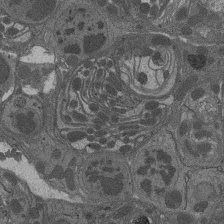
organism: Drosophila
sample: Antenna